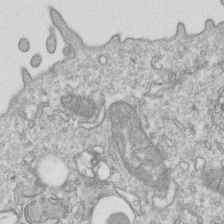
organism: Mouse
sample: Activated OT-1 CD8+ T cells